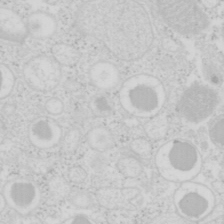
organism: Mouse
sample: Pancreas